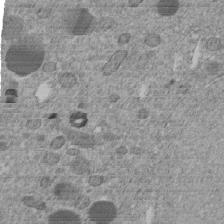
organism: C. elegans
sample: C. elegans embryo early stage